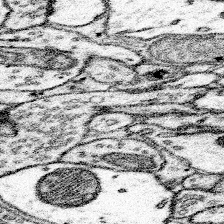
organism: Mouse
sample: Somatosensory cortex neuropil